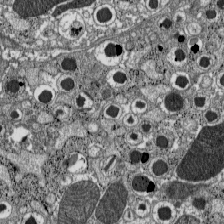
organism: C57BL Mouse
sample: Pancreatic islet